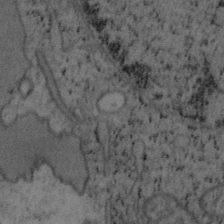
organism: Human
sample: HeLa cells